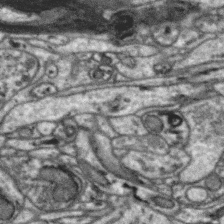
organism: Zebra finch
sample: Brain